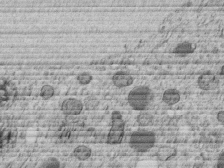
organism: C. elegans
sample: C. elegans embryo early stage